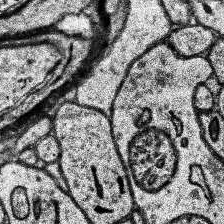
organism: Human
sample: Temporal Lobe